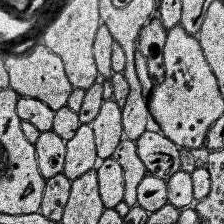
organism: Human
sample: Temporal Lobe